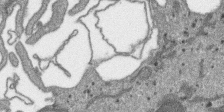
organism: Human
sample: Lung epithelial cells infected with SARS-CoV-2